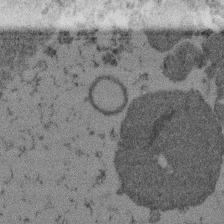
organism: Mouse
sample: Dividing mouse embryo 1 cell stage